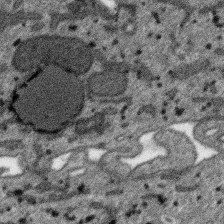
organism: Human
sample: Lung epithelial cells infected with SARS-CoV-2